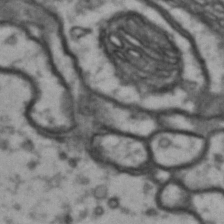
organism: Drosophila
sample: Brain